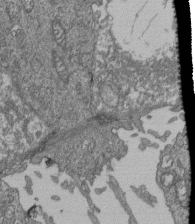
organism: Human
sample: Retinal organoid Rod and Cone cells